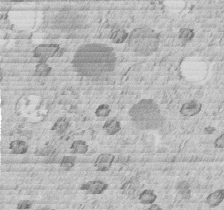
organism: C. elegans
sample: C. elegans embryo early stage